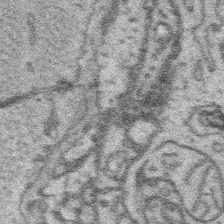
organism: Platynereis dumerilii